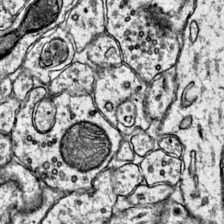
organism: Mouse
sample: Primary visual cortex